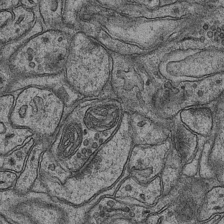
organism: Mouse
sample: CA1 Hippocampus